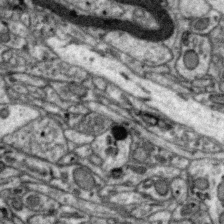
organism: Zebra finch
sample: Brain